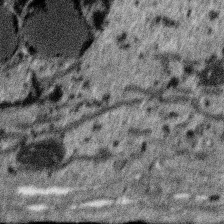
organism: Human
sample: Lung epithelial cells infected with SARS-CoV-2